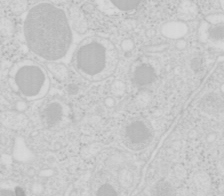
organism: Mouse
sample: Pancreas